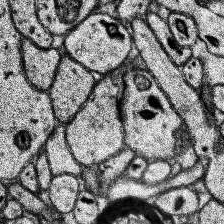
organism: Human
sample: Temporal Lobe